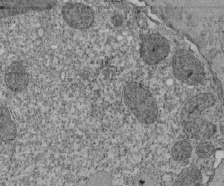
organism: Tetrahymena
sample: Cilia in tetrahymena